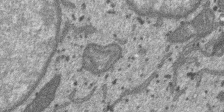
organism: Human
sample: Lung epithelial cells infected with SARS-CoV-2